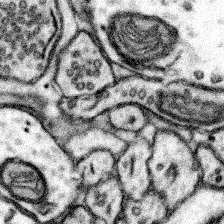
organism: Mouse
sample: Somatosensory cortex neuropil